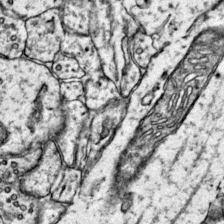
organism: Mouse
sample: Primary visual cortex